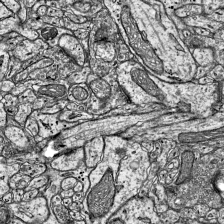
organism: Mouse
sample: Visual Cortex